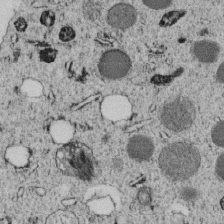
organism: C. elegans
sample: C. elegans embryo early stage